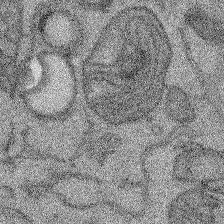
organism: Human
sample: HeLa cells